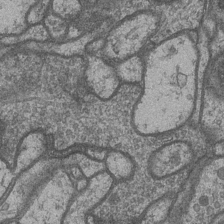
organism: Drosophila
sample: Optic medulla